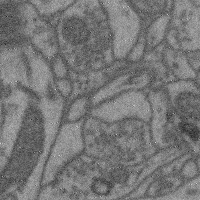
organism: Mouse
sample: Cerebral cortex